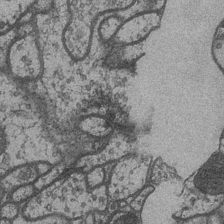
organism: Drosophila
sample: Optic medulla